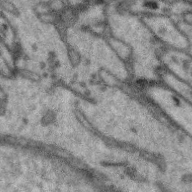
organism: Zebra finch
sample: Brain